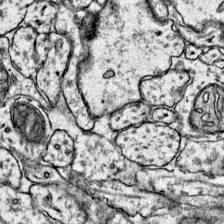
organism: Mouse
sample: Primary visual cortex